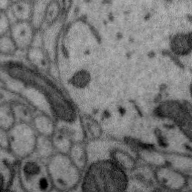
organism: Zebra finch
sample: Brain